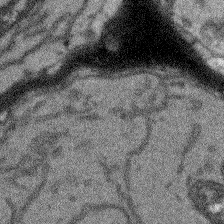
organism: Arabidopsis thaliana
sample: Root tip